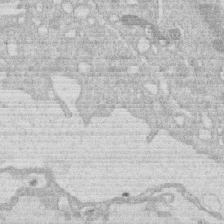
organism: Human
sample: Macrophage cells